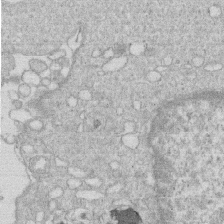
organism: Human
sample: Macrophage cells